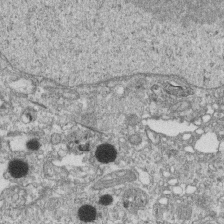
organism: Human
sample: HeLa cell HIV synapse